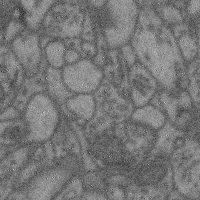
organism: Mouse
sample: Cerebral cortex